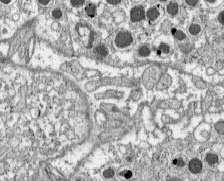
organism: C57BL Mouse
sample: Pancreatic islet